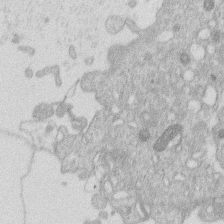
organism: Human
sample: Macrophage cells